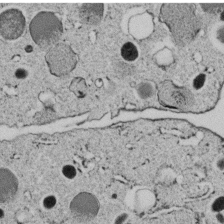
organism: C. elegans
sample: C. elegans embryo early stage